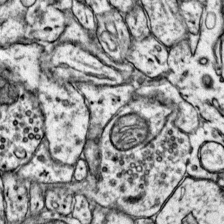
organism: Mouse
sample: Primary visual cortex